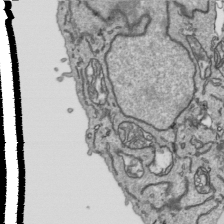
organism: Human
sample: Mitochondria in HCT116 cells